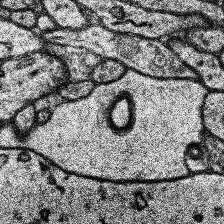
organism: Human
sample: Temporal Lobe